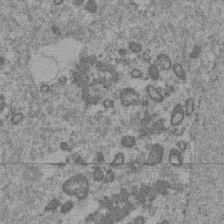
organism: Mouse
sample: Dividing mouse embryo 1 cell stage